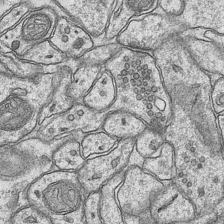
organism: Mouse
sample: CA1 Hippocampus